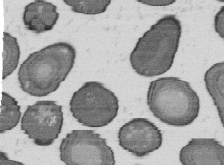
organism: B. subtilis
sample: Bacterial spore